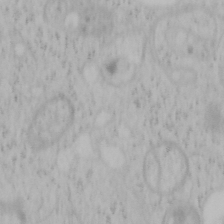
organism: Mouse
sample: OT-I killer T cells with ID8 ovarian cancer cells